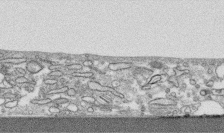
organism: Human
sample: CRL-1474